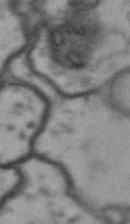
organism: Drosophila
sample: Brain